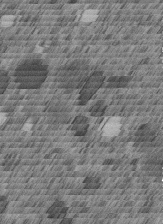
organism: C. elegans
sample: C. elegans embryo early stage